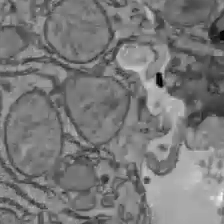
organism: C57BL Mouse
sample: Liver